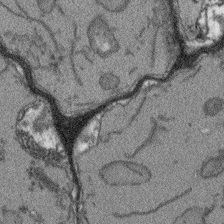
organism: Arabidopsis thaliana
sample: Root tip